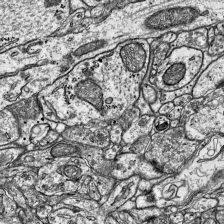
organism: Mouse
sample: Visual Cortex